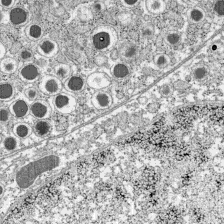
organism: C57BL Mouse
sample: Pancreatic islet